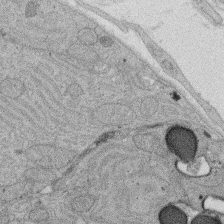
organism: Rat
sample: Salivary granule